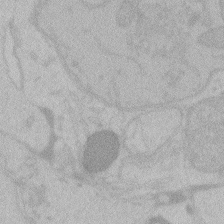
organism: Zebrafish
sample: Macrophage infected with Toxoplasma gondii